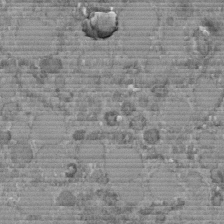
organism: C. elegans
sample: C. elegans embryo early stage